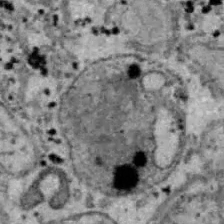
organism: Mouse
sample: Liver from an obese (ob/ob) mouse